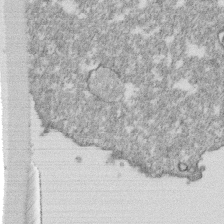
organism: African green monkey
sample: Vero E6 cells infected with SARS-CoV-2